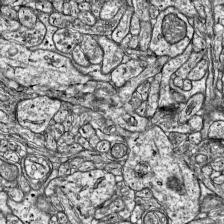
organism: Mouse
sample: Visual Cortex